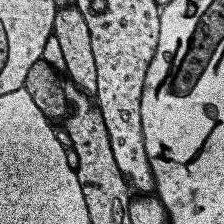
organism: Human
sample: Temporal Lobe